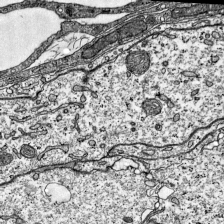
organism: Mouse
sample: Visual Cortex